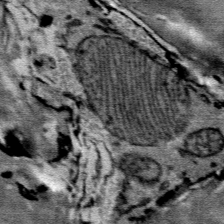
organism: Mouse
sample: Mouse Salivary gland